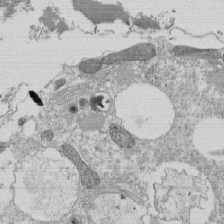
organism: Tetrahymena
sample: Cilia in tetrahymena